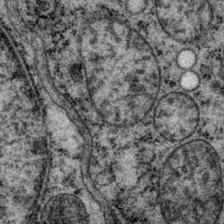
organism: P. pacificus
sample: Pharynx